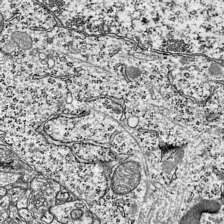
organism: Mouse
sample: Visual Cortex